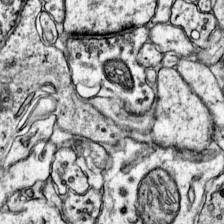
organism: Mouse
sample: Primary visual cortex